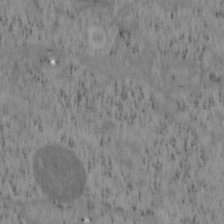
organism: Mouse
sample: OT-I killer T cells with ID8 ovarian cancer cells